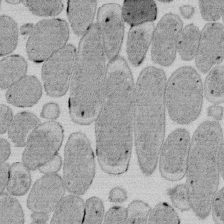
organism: E. coli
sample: Bacterial nucleoid